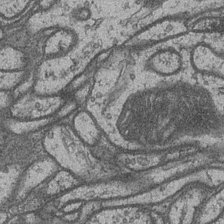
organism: Drosophila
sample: Optic medulla